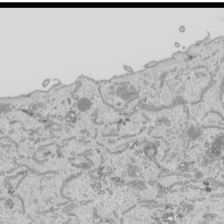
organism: Human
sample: Mitochondria in HCT116 cells